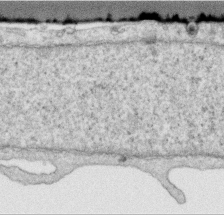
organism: Human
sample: Centriole in RPE cells